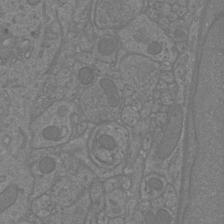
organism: Mouse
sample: Cortical neurons